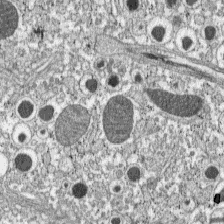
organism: C57BL Mouse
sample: Pancreatic islet